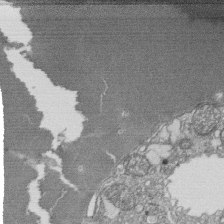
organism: Tetrahymena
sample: Cilia in tetrahymena